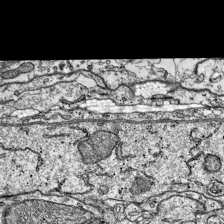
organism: Mouse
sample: Visual Cortex